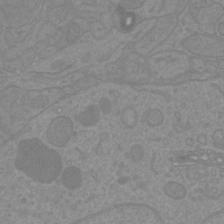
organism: Mouse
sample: Cortical neurons